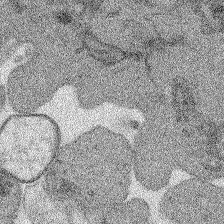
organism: Human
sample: HeLa cells